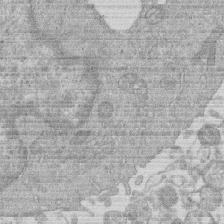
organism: Human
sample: Macrophage cells